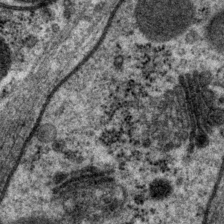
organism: P. pacificus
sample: Pharynx